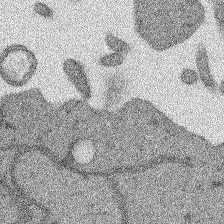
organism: Human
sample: HeLa cells